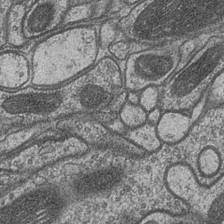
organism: Drosophila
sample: Optic medulla